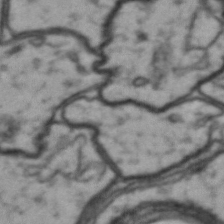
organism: Drosophila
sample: Brain